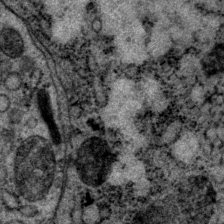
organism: P. pacificus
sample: Pharynx